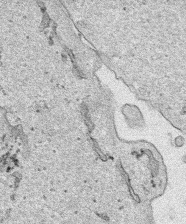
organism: Human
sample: Mitochondria in HCT116 cells